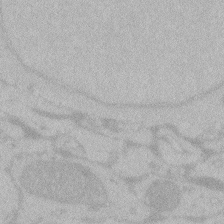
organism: Zebrafish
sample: Macrophage infected with Toxoplasma gondii